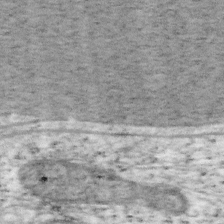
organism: Mouse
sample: OT-I killer T cells with ID8 ovarian cancer cells